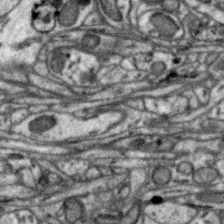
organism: Zebra finch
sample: Brain